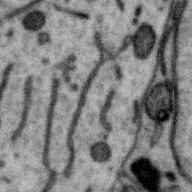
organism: Zebra finch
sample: Brain